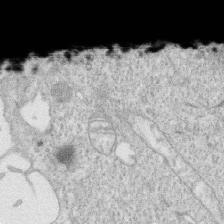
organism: Human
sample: HeLa cell HIV synapse